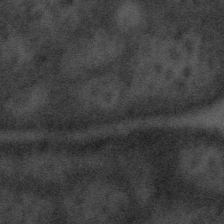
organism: Tuwongella immobilis